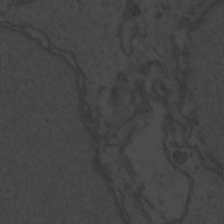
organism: Zebrafish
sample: Macrophage infected with Toxoplasma gondii